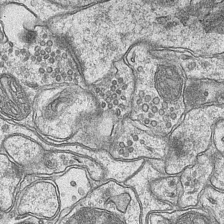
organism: Mouse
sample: CA1 Hippocampus